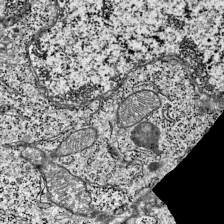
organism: Mouse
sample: Visual Cortex